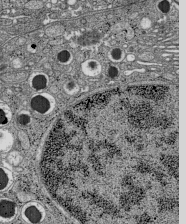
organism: C57BL Mouse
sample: Pancreatic islet